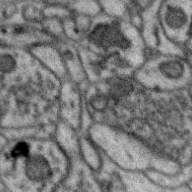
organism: Zebra finch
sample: Brain